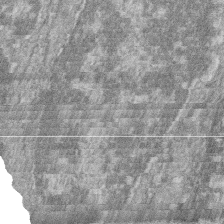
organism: Zebrafish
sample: Cilia; retinal pigment epithelium